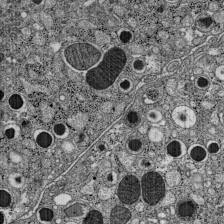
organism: C57BL Mouse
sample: Pancreatic islet